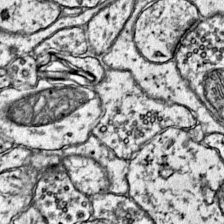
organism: Mouse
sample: Primary visual cortex